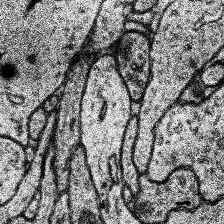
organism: Human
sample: Temporal Lobe